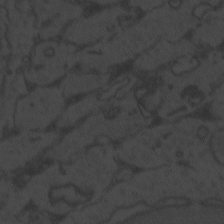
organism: Zebrafish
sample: Macrophage infected with Toxoplasma gondii